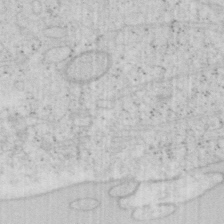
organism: Human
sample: HeLa cells